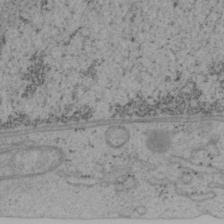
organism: Human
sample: HeLa cells